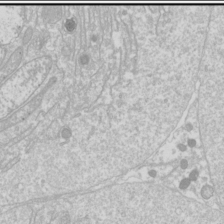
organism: Drosophila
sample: Cell division; meiosis; drosophila spermatocytes